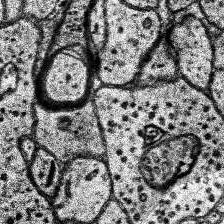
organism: Human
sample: Temporal Lobe